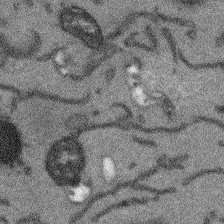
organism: Arabidopsis thaliana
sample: Root tip